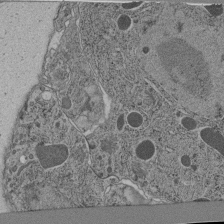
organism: C. elegans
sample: C. elegans pharynx